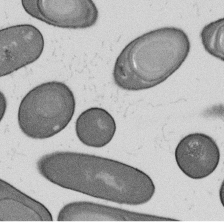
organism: B. subtilis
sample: Bacterial spore